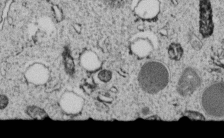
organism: C. elegans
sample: C. elegans embryo early stage